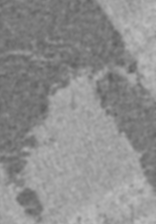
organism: C57BL Mouse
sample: Heart